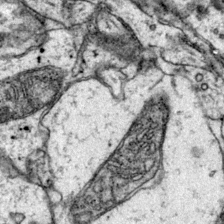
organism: Mouse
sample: Primary visual cortex